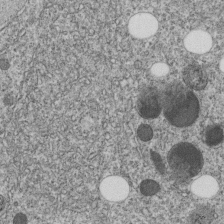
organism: C. elegans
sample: C. elegans embryo early stage